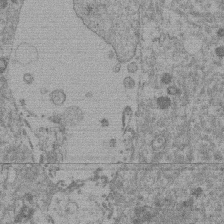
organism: Mouse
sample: Dividing mouse embryo 1 cell stage